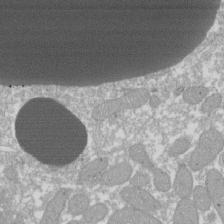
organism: Xenopus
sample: Cilia; centrioles in frog embryo cells